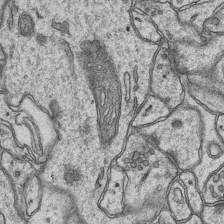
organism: Mouse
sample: CA1 Hippocampus